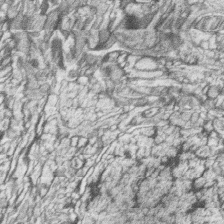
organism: Zebrafish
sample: synaptic ribbons in rod cells and cone cells